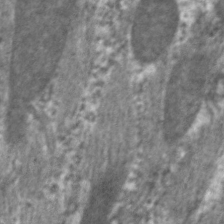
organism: C. elegans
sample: Pharynx